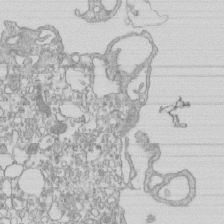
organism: Mouse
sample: Macrophages